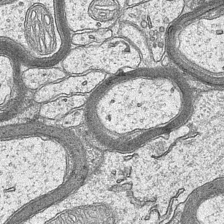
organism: Mouse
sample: CA1 Hippocampus